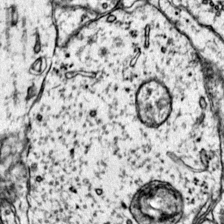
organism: Mouse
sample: Primary visual cortex